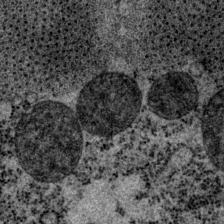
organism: P. pacificus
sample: Pharynx